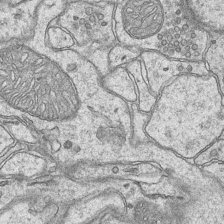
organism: Mouse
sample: CA1 Hippocampus